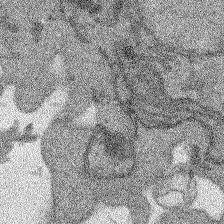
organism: Human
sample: HeLa cells